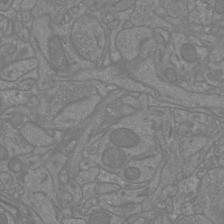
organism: Mouse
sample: Cortical neurons